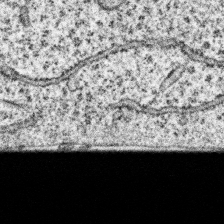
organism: Human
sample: HeLa cells